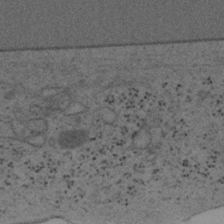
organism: Human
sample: HeLa cells